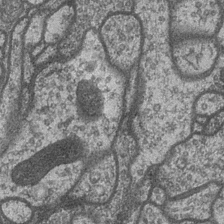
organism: Drosophila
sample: Optic medulla